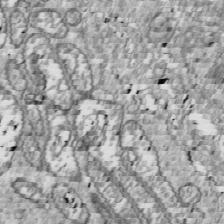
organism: Drosophila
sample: Cell division; meiosis; drosophila spermatocytes